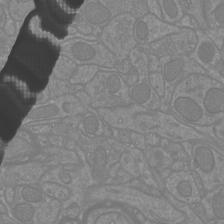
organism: Mouse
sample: Cortical neurons